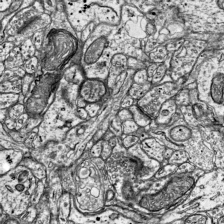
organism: Mouse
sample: Visual Cortex